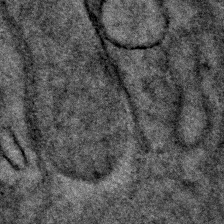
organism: Human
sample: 1205lu cells